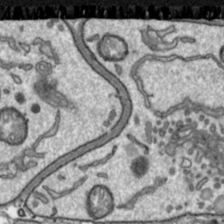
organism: Toxoplasma gondii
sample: Parasites in a vacuole inside a host cell